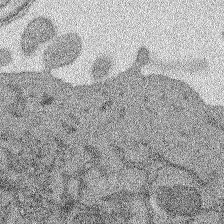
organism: Human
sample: HeLa cells